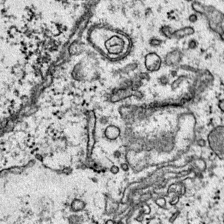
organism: Mouse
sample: Primary visual cortex